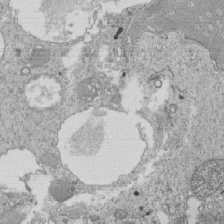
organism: Tetrahymena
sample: Cilia in tetrahymena